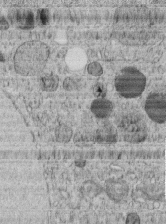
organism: C. elegans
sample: C. elegans embryo early stage